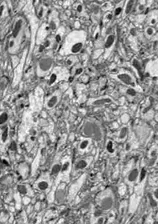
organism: Drosophila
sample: Optic lobe